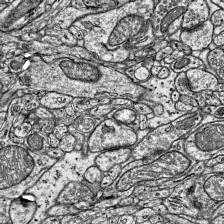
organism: Mouse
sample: Visual Cortex